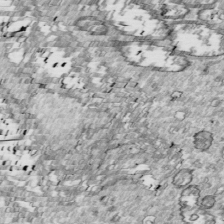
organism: Drosophila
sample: Cell division; meiosis; drosophila spermatocytes